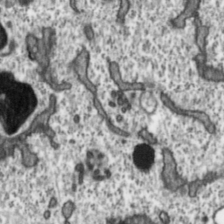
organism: Toxoplasma gondii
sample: Parasites in a vacuole inside a host cell